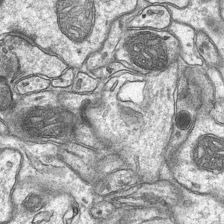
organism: Mouse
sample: CA1 Hippocampus